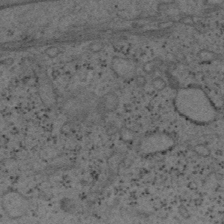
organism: Human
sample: HeLa cells